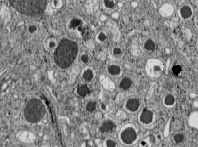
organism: C57BL Mouse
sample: Pancreatic islet